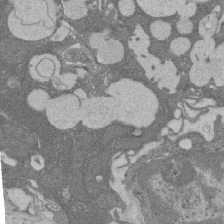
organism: Rat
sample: Salivary granule